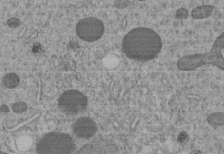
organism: C. elegans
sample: C. elegans embryo early stage